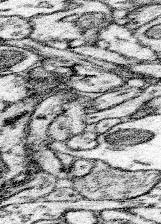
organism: Mouse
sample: Somatosensory cortex neuropil